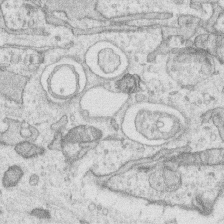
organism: Human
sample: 1205lu cells